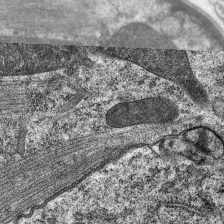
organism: C. elegans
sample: Pharynx